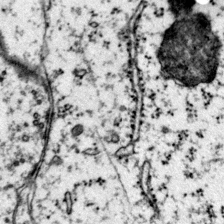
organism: Mouse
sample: Primary visual cortex